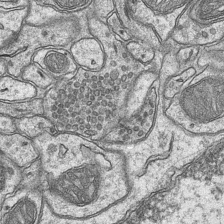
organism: Mouse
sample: CA1 Hippocampus